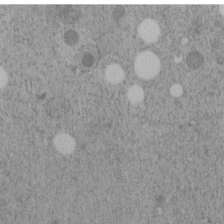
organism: C. elegans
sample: C. elegans embryo early stage